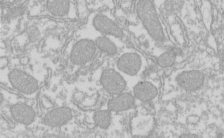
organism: Xenopus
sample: Cilia; centrioles in frog embryo cells